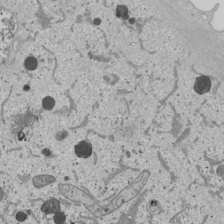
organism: Human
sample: Mitochondria in U2OS cells